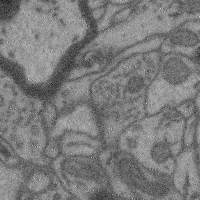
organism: Mouse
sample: Cerebral cortex